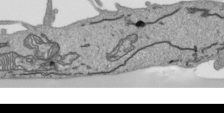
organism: Human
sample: Mitochondria in HCT116 cells